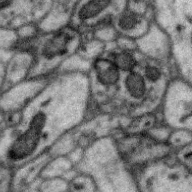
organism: Zebra finch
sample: Brain